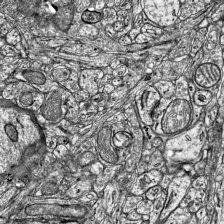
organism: Mouse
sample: Visual Cortex